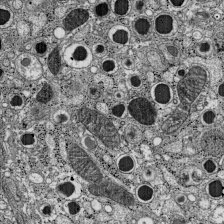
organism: C57BL Mouse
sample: Pancreatic islet